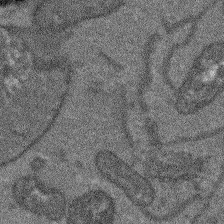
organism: Arabidopsis thaliana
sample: Root tip